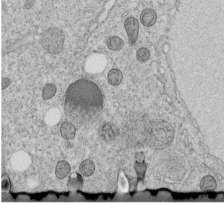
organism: C. elegans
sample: C. elegans embryo early stage